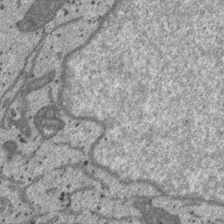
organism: Human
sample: Lung epithelial cells infected with SARS-CoV-2